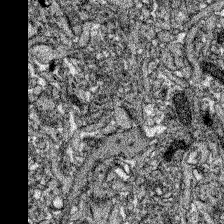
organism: Zebrafish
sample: Larval olfactory bulb